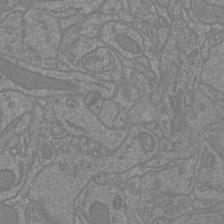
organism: Mouse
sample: Cortical neurons